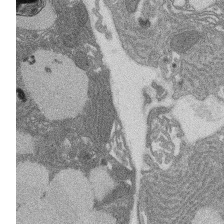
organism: Rat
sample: Salivary granule